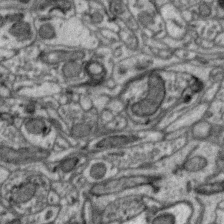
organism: Zebra finch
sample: Brain